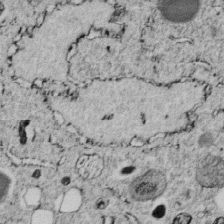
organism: C. elegans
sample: C. elegans embryo early stage